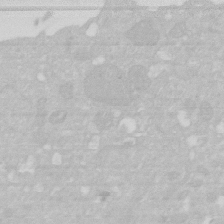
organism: Human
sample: HIV infected U937 cells